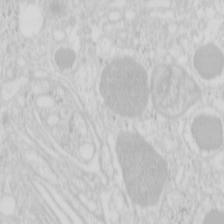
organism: Mouse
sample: Pancreas